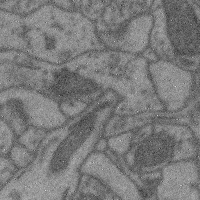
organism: Mouse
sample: Cerebral cortex